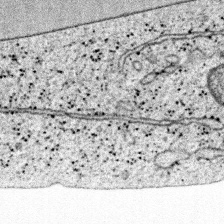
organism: Human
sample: HeLa cells